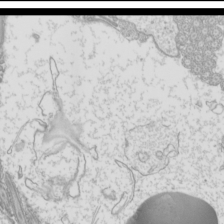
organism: Mouse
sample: Cilia; mouse epididymis